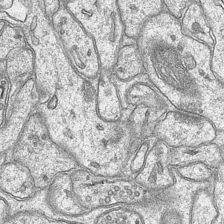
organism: Mouse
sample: CA1 Hippocampus